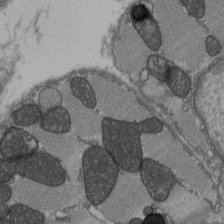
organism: C57BL Mouse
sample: Heart